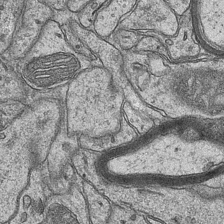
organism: Mouse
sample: CA1 Hippocampus